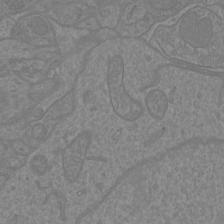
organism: Mouse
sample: Cortical neurons